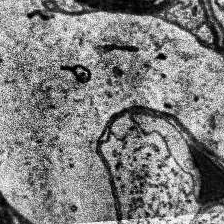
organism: Human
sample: Temporal Lobe